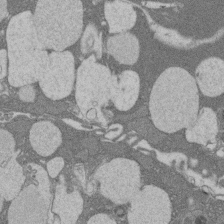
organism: Rat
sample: Salivary granule